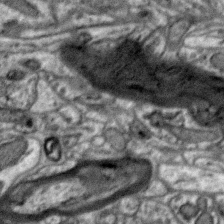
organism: Zebra finch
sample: Brain